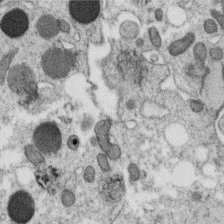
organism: C. elegans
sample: C. elegans oocyte; sperm cells